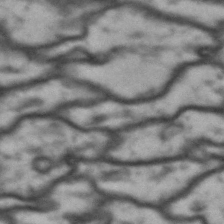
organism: Drosophila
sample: Brain